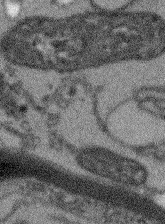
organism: Arabidopsis thaliana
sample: Root tip